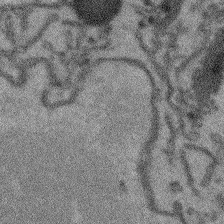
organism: Arabidopsis thaliana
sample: Root tip